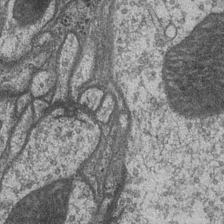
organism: Drosophila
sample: Optic medulla